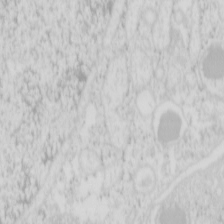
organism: Mouse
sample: Pancreas